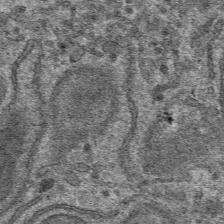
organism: Mouse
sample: Mouse hepatocytes